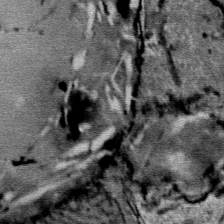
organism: Mouse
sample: Mouse Salivary gland